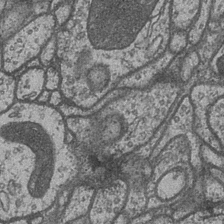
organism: Drosophila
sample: Optic medulla